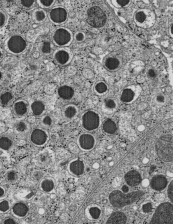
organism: C57BL Mouse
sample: Pancreatic islet